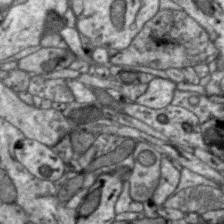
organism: Zebra finch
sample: Brain